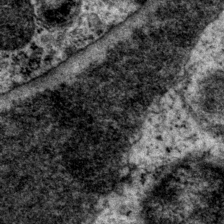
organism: P. pacificus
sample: Pharynx